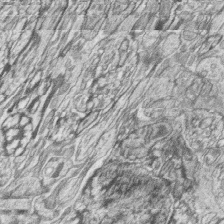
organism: Zebrafish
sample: synaptic ribbons in rod cells and cone cells